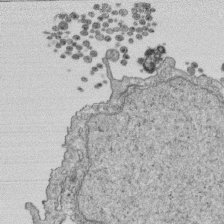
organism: Human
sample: HeLa cell HIV synapse